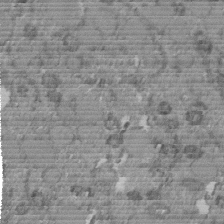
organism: C. elegans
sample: C. elegans embryo early stage